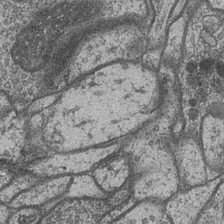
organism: Drosophila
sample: Optic medulla